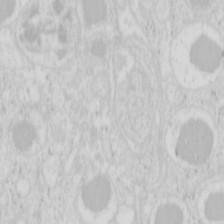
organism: Mouse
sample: Pancreas